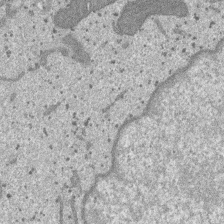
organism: Human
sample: Lung epithelial cells infected with SARS-CoV-2